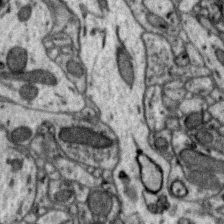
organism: Zebra finch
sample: Brain